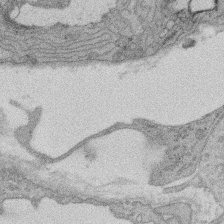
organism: Rat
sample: Salivary granule